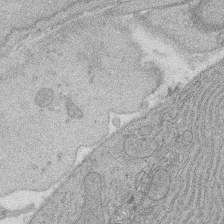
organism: Rat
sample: Salivary granule